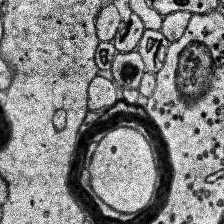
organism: Human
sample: Temporal Lobe